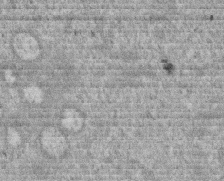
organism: Mouse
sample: Dividing mouse embryo 1 cell stage